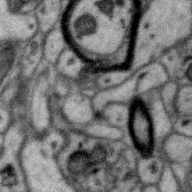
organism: Zebra finch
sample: Brain